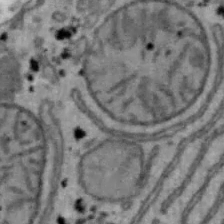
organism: Mouse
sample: Liver